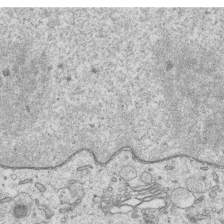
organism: Human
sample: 1205lu cells